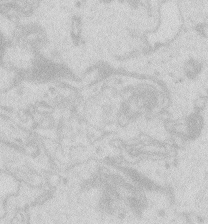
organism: Zebrafish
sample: Macrophage